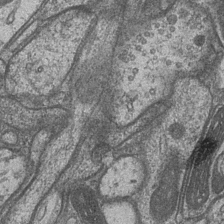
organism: Drosophila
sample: Optic medulla